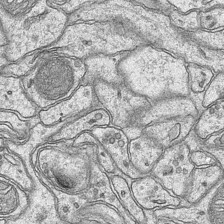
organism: Mouse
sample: CA1 Hippocampus